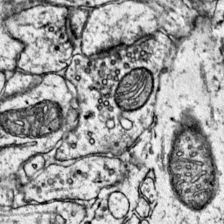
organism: Mouse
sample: Primary visual cortex